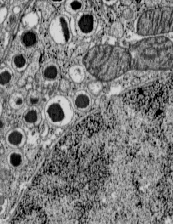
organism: C57BL Mouse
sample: Pancreatic islet